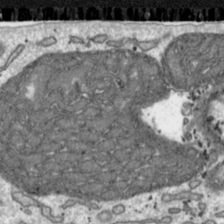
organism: Toxoplasma gondii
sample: Parasites in a vacuole inside a host cell